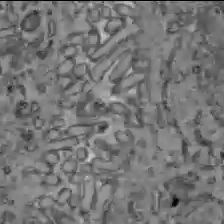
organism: C57BL Mouse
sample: Liver